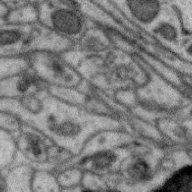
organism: Zebra finch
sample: Brain